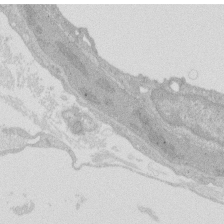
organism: Rat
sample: Salivary granule